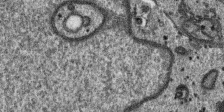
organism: Human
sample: Lung epithelial cells infected with SARS-CoV-2